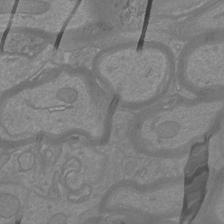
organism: Mouse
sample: Cortical neurons